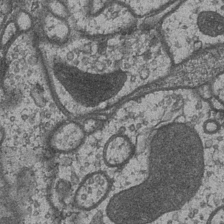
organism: Drosophila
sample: Optic medulla